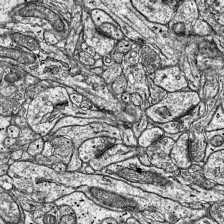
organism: Mouse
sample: Visual Cortex